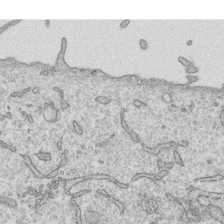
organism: Human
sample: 1205lu cells